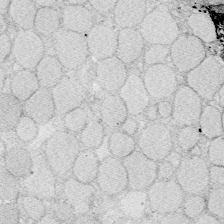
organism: Zebrafish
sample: Whole-Brain